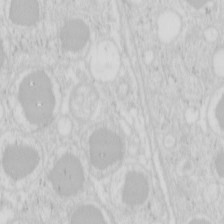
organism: Mouse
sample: Pancreas